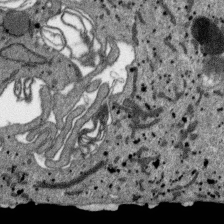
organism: Human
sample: Lung epithelial cells, uninfected (mock) control